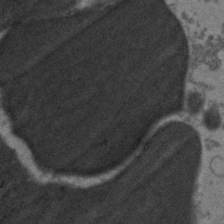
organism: Zebrafish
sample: Zebrafish embryo